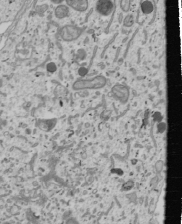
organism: Human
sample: Mitochondria in U2OS cells